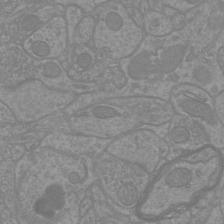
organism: Mouse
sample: Cortical neurons